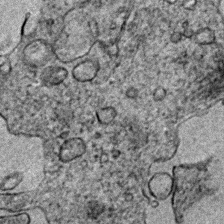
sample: Trachea